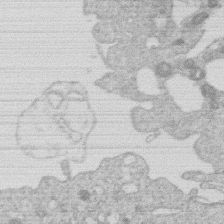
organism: Human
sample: Macrophage cells